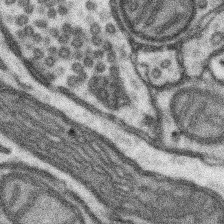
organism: Mouse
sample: Somatosensory cortex neuropil